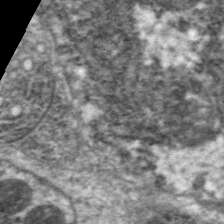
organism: C. elegans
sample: Pharynx